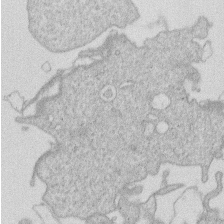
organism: Human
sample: Macrophage cells